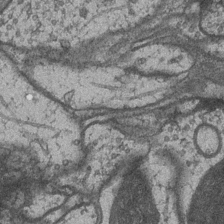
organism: Drosophila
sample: Optic medulla